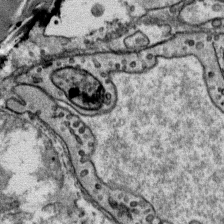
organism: Mouse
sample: Mouse Salivary gland